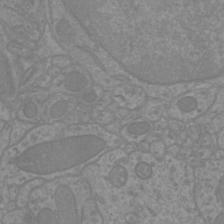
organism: Mouse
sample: Cortical neurons